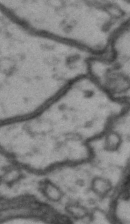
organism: Drosophila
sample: Brain